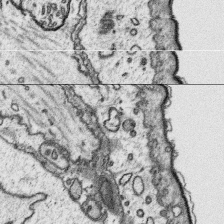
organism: Platynereis dumerilii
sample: Parapodia